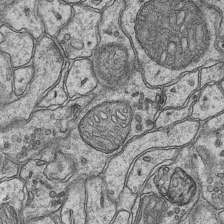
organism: Mouse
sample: CA1 Hippocampus